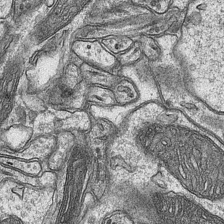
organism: Mouse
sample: CA1 Hippocampus